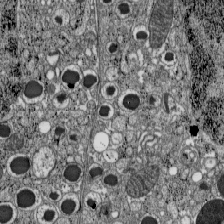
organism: C57BL Mouse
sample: Pancreatic islet